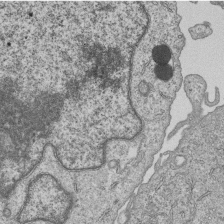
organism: Human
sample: MDA-MB-231 cells